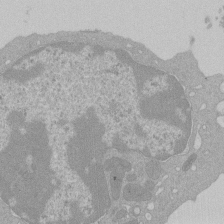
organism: Mouse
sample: Activated Pmel transgenic CD8+ T Cells